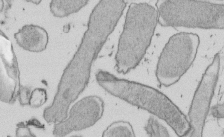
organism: E. coli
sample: Bacterial nucleoid